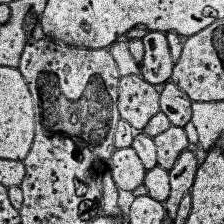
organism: Human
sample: Temporal Lobe